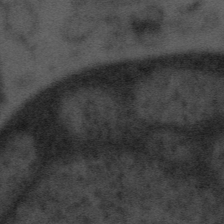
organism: Tuwongella immobilis